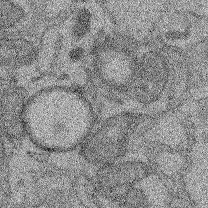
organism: Human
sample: HeLa cells